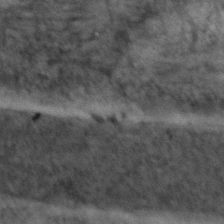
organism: Zebrafish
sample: Zebrafish embryo